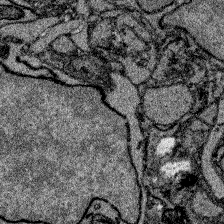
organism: Zebrafish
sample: Larval olfactory bulb